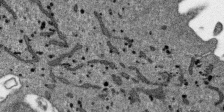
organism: Human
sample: Lung epithelial cells, uninfected (mock) control